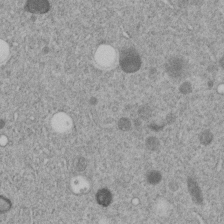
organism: C. elegans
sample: C. elegans embryo early stage